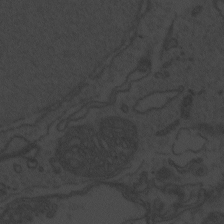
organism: Zebrafish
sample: Macrophage infected with Toxoplasma gondii